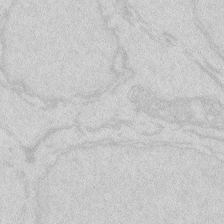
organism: Zebrafish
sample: Macrophage